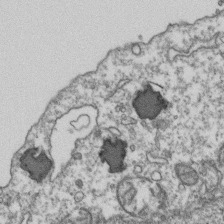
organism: Human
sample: Activated Jurkat CD4+ T cells